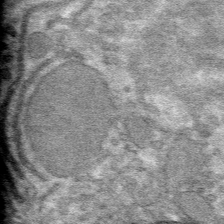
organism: Mouse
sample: Mouse hepatocytes